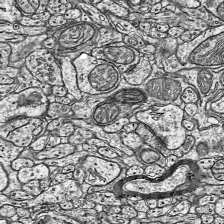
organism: Mouse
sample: Visual Cortex